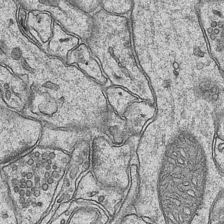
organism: Mouse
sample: CA1 Hippocampus